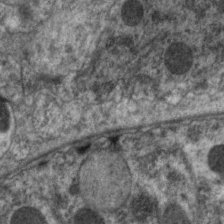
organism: C. elegans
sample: Pharynx